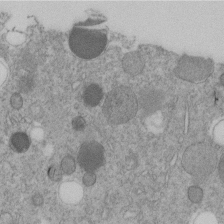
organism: C. elegans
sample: C. elegans embryo early stage